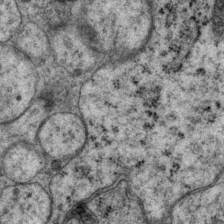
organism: P. pacificus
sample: Pharynx